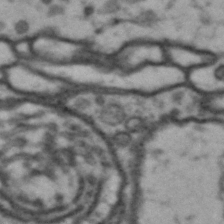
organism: Drosophila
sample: Brain